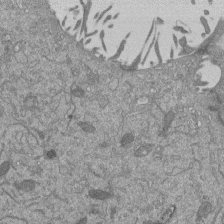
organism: Mouse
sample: ED-1 cell nuclei; centrioles